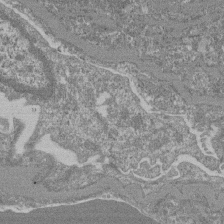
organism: Mouse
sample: Glomerulus